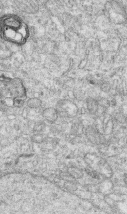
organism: Human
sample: HeLa cell HIV synapse